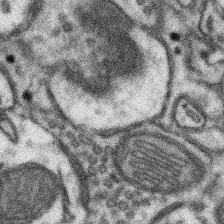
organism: Mouse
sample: Somatosensory cortex neuropil